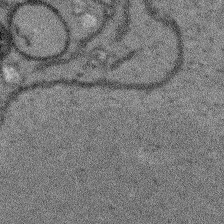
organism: Arabidopsis thaliana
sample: Root tip